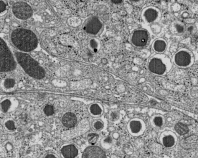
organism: C57BL Mouse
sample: Pancreatic islet